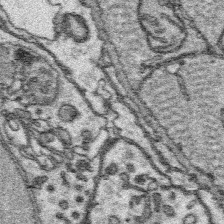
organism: Platynereis dumerilii